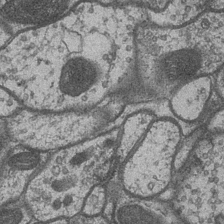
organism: Drosophila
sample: Optic medulla